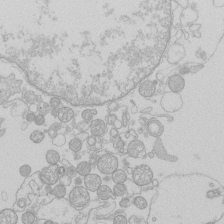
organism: Human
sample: Macrophage cells